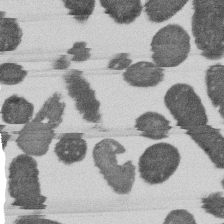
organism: E. coli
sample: Bacterial nucleoid